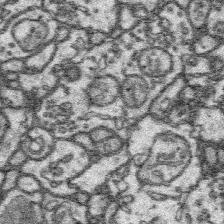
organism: Platynereis dumerilii